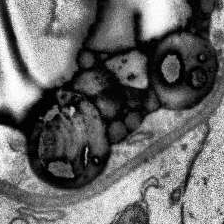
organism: Human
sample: Temporal Lobe